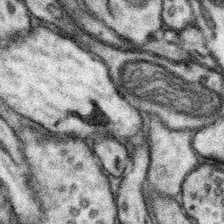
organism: Mouse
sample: Somatosensory cortex neuropil